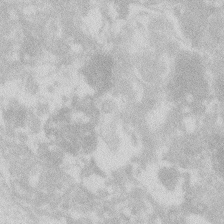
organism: Zebrafish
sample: Macrophage